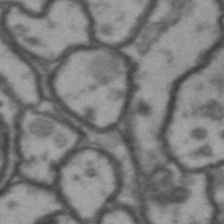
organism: Drosophila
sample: Brain